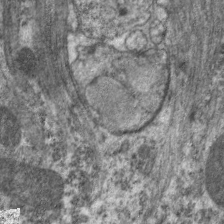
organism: C. elegans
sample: Pharynx